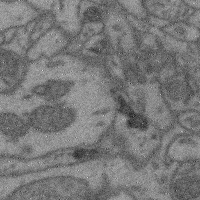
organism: Mouse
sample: Cerebral cortex